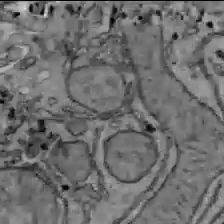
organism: C57BL Mouse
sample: Liver